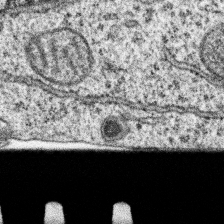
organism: Human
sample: HeLa cells